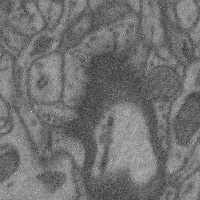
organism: Mouse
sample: Cerebral cortex